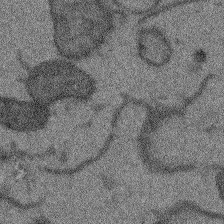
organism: Arabidopsis thaliana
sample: Root tip